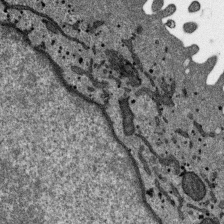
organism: Human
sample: Lung epithelial cells, uninfected (mock) control